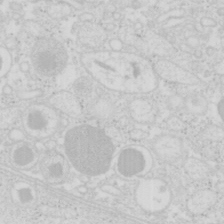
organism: Mouse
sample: Pancreas